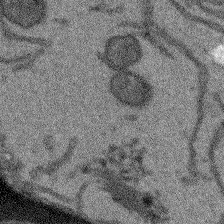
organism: Arabidopsis thaliana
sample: Root tip